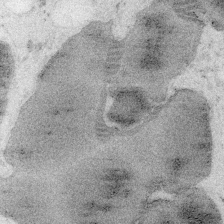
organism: Embia sp.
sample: Silk gland